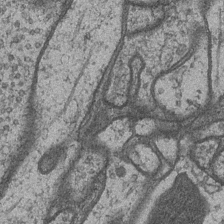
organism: Drosophila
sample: Optic medulla